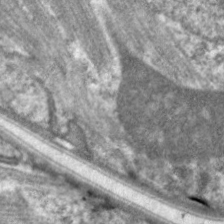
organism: C. elegans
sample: Pharynx